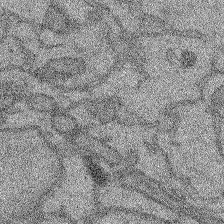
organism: Human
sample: HeLa cells